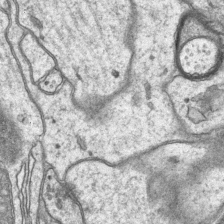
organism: Mouse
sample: CA1 Hippocampus